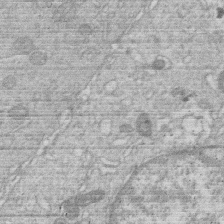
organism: Human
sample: Macrophage cells